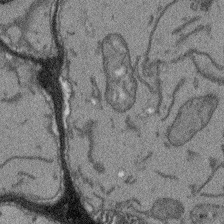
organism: Arabidopsis thaliana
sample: Root tip